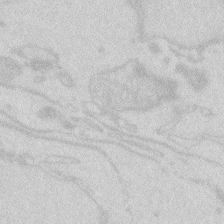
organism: Zebrafish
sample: Macrophage